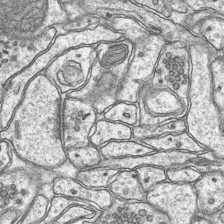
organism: Mouse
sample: CA1 Hippocampus